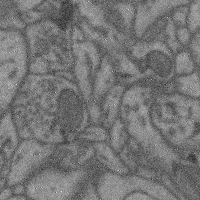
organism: Mouse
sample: Cerebral cortex